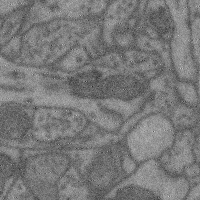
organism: Mouse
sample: Cerebral cortex